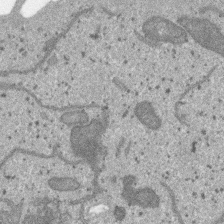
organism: Human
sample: Lung epithelial cells infected with SARS-CoV-2